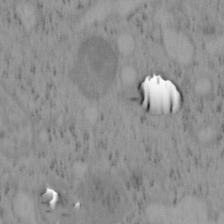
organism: Mouse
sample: OT-I killer T cells with ID8 ovarian cancer cells